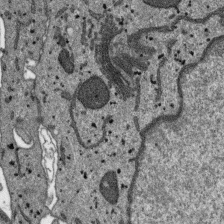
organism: Human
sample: Lung epithelial cells, uninfected (mock) control